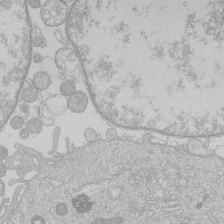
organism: Human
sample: Macrophage cells